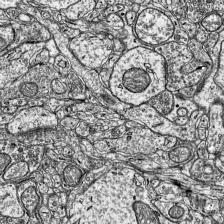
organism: Mouse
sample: Visual Cortex